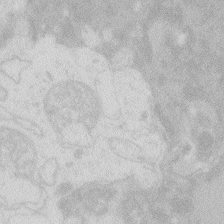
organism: Zebrafish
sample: Macrophage